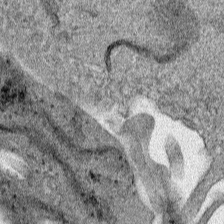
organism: Human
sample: Mitochondria in HCT116 cells